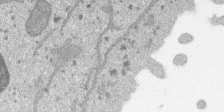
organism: Human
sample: Lung epithelial cells infected with SARS-CoV-2